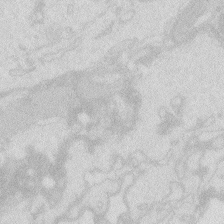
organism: Zebrafish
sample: Macrophage